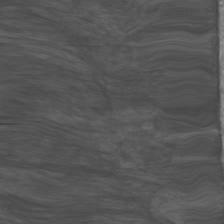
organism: Mouse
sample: Cortical neurons